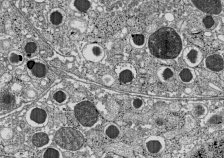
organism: C57BL Mouse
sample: Pancreatic islet